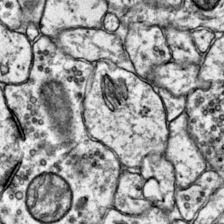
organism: Mouse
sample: Primary visual cortex